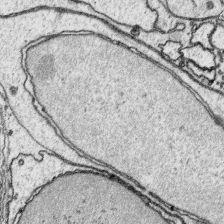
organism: Platynereis dumerilii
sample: Parapodia